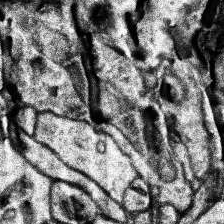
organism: Human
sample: Temporal Lobe